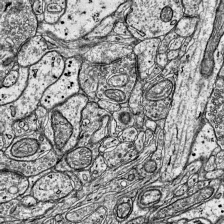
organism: Mouse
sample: Visual Cortex